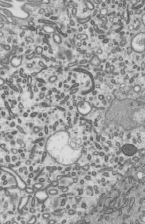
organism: Mouse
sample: Mouse epididymis efferent ductule cilia